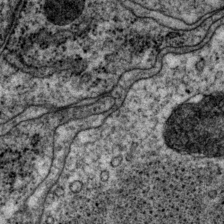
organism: P. pacificus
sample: Pharynx